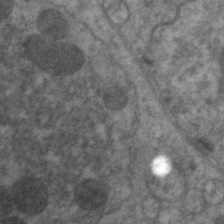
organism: C. elegans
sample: Pharynx